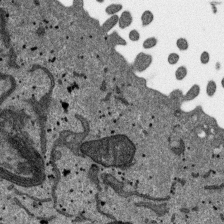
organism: Human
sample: Lung epithelial cells, uninfected (mock) control